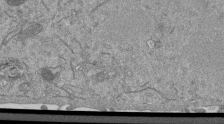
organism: Mouse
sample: ED-1 cell nuclei; centrioles